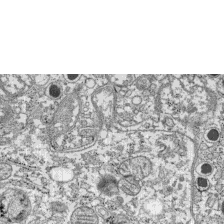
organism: C57BL Mouse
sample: Pancreatic islet